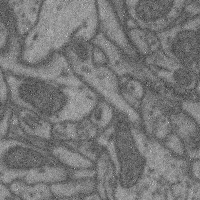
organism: Mouse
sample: Cerebral cortex